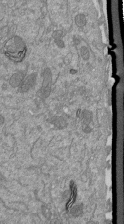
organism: Mouse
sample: ED-1 cell nuclei; centrioles